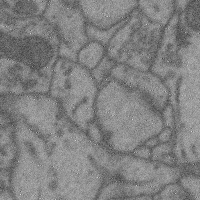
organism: Mouse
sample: Cerebral cortex